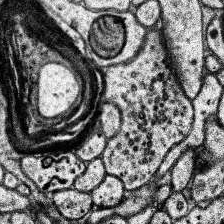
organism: Human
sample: Temporal Lobe